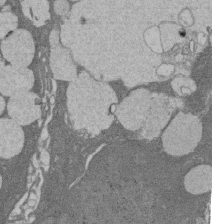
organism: Rat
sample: Salivary granule